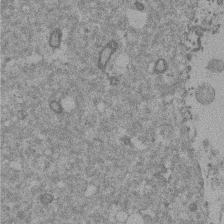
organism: Mouse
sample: Dividing mouse embryo 1 cell stage